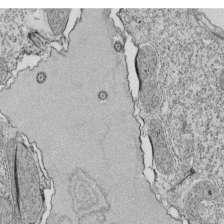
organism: Tetrahymena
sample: Cilia in tetrahymena